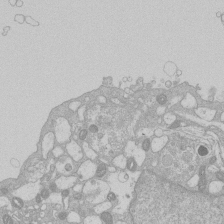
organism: Human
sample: Macrophage cells